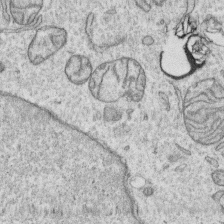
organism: Human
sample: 1205lu cells